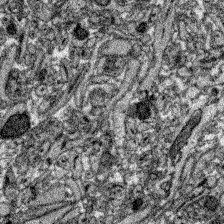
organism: Zebrafish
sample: Larval olfactory bulb